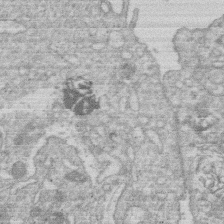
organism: Human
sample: Macrophage cells